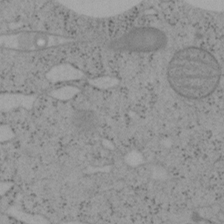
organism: Mouse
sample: OT-I killer T cells with ID8 ovarian cancer cells